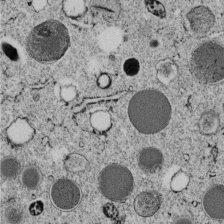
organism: C. elegans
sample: C. elegans embryo early stage